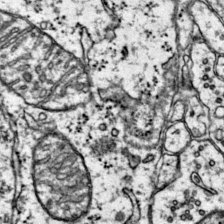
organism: Mouse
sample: Primary visual cortex